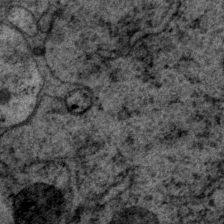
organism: P. pacificus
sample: Pharynx